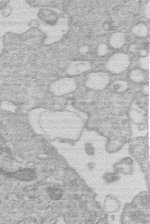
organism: Human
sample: Macrophage cells